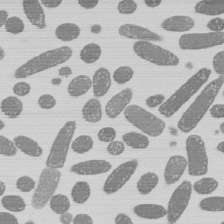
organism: E. coli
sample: Bacterial nucleoid